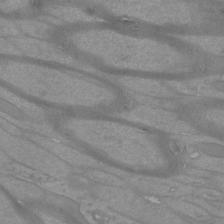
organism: Mouse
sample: Cortical neurons